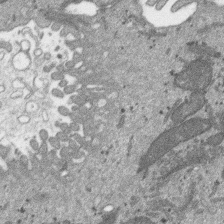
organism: Human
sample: Lung epithelial cells infected with SARS-CoV-2